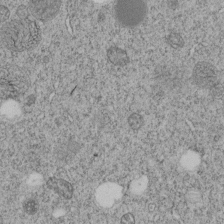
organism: C. elegans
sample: C. elegans embryo early stage